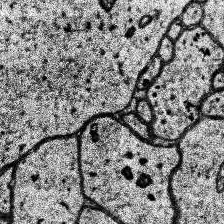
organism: Human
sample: Temporal Lobe